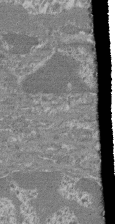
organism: Mouse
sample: Glomerulus